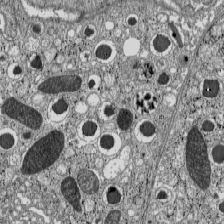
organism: C57BL Mouse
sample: Pancreatic islet